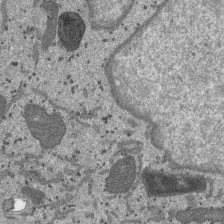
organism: Human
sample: Lung epithelial cells infected with SARS-CoV-2